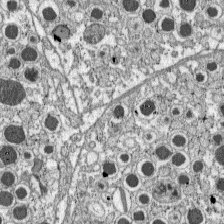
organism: C57BL Mouse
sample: Pancreatic islet